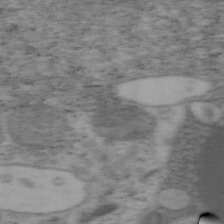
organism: Mouse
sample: OT-I killer T cells with ID8 ovarian cancer cells